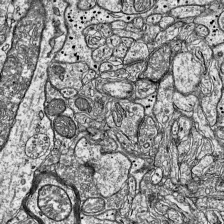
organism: Mouse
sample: Visual Cortex